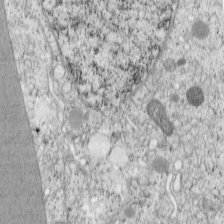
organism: African green monkey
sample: COS-7 cells